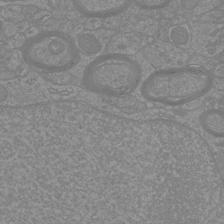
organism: Mouse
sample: Cortical neurons